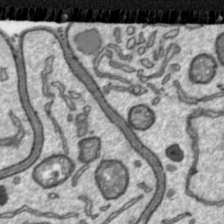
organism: Toxoplasma gondii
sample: Parasites in a vacuole inside a host cell